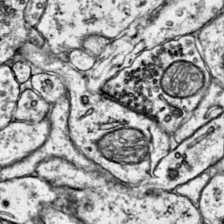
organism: Mouse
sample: Primary visual cortex